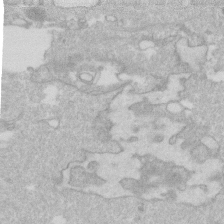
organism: Human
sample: Fibroblast cells